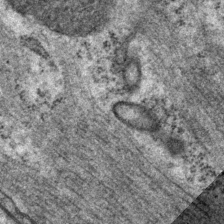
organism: P. pacificus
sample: Pharynx